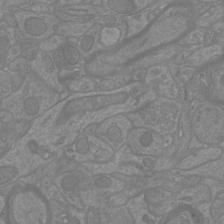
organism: Mouse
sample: Cortical neurons